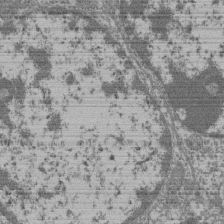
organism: Mouse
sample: Glomerulus